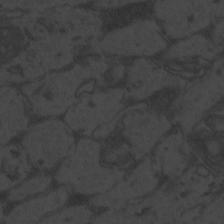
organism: Zebrafish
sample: Macrophage infected with Toxoplasma gondii